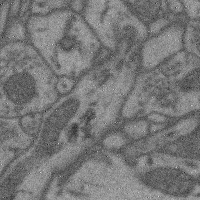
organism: Mouse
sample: Cerebral cortex